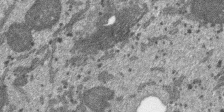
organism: Human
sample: Lung epithelial cells infected with SARS-CoV-2